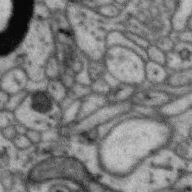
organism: Zebra finch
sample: Brain